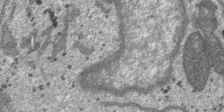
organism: Human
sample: Lung epithelial cells infected with SARS-CoV-2